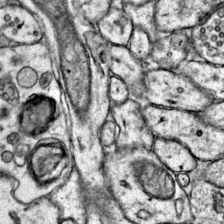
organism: Mouse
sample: Primary visual cortex